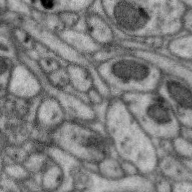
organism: Zebra finch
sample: Brain